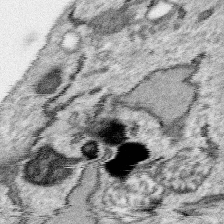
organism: Human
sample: HeLa cells